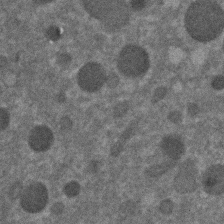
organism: C. elegans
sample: C. elegans embryo